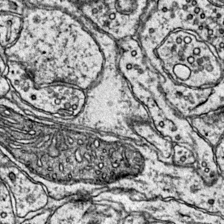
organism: Mouse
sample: Primary visual cortex